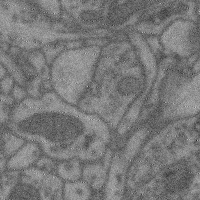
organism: Mouse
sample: Cerebral cortex